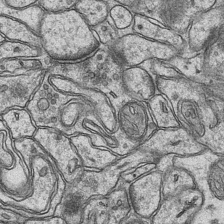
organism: Mouse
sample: CA1 Hippocampus